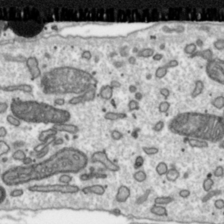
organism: Toxoplasma gondii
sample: Parasites in a vacuole inside a host cell